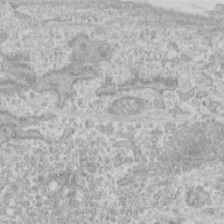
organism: Human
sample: CRL-1474